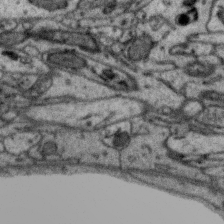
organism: Zebra finch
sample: Brain